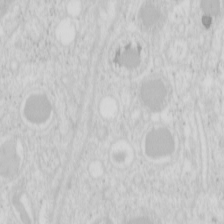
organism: Mouse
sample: Pancreas